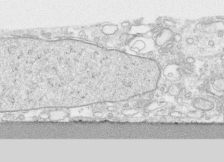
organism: Human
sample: CRL-1474